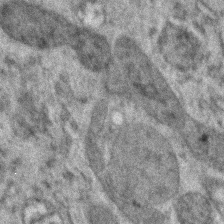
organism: Zebrafish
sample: Zebrafish embryo